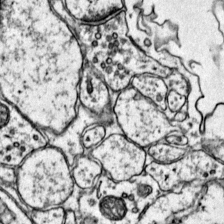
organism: Mouse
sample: Primary visual cortex